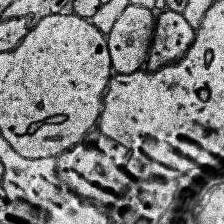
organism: Human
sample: Temporal Lobe